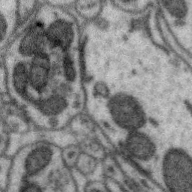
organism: Zebra finch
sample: Brain